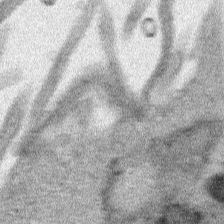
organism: Human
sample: Mitochondria in HCT116 cells